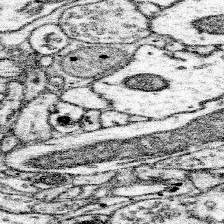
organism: Mouse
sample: Somatosensory cortex neuropil